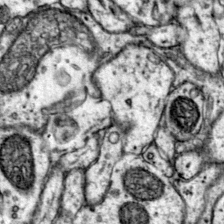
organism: Mouse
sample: Primary visual cortex